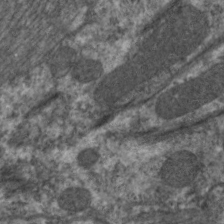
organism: C. elegans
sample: Pharynx